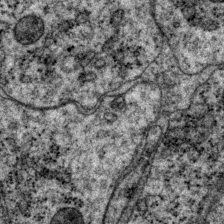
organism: P. pacificus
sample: Pharynx